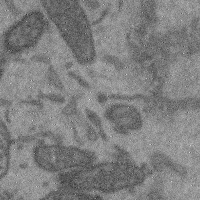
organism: Mouse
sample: Cerebral cortex